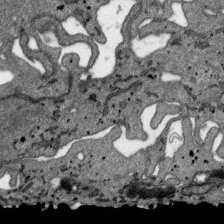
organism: Human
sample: Lung epithelial cells, uninfected (mock) control